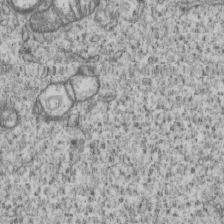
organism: Human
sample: MDA-MB-231 cells